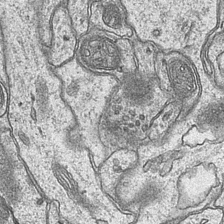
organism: Mouse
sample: CA1 Hippocampus